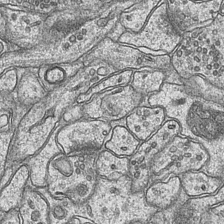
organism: Mouse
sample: CA1 Hippocampus